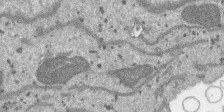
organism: Human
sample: Lung epithelial cells infected with SARS-CoV-2